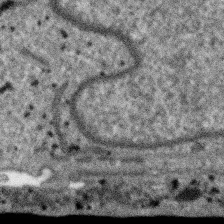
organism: Human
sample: Lung epithelial cells infected with SARS-CoV-2